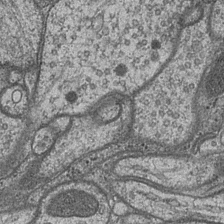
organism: Drosophila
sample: Optic medulla